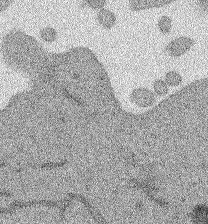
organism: Human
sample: HeLa cells